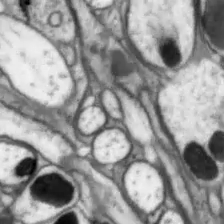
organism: Drosophila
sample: Optic lobe